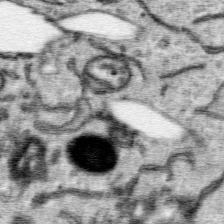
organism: Human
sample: HeLa cells